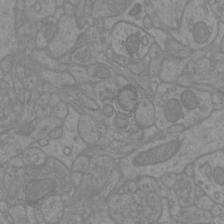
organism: Mouse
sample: Cortical neurons